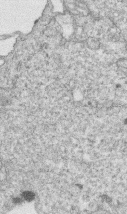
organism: Human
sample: HeLa cell HIV synapse